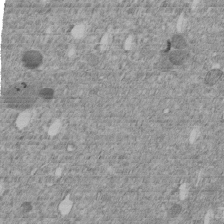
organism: C. elegans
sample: C. elegans embryo early stage